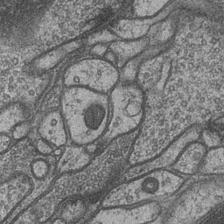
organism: Drosophila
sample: Optic medulla